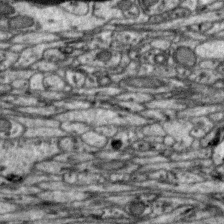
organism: Zebra finch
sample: Brain